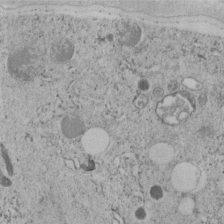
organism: C. elegans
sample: C. elegans embryo early stage